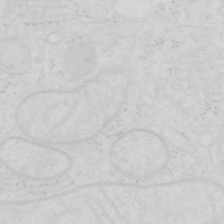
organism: Human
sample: SUM-159 cell